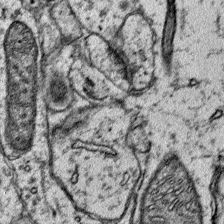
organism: Mouse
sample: Primary visual cortex